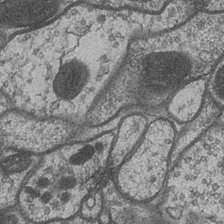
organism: Drosophila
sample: Optic medulla